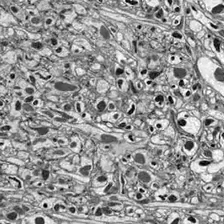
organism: Drosophila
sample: Optic lobe